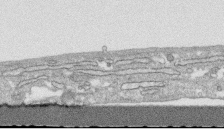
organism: Human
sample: CRL-1474